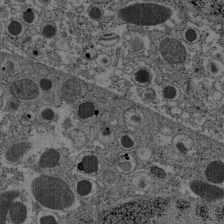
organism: C57BL Mouse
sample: Pancreatic islet